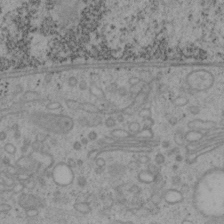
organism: Human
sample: HeLa cells